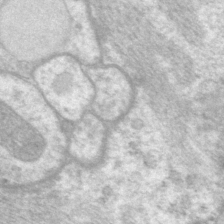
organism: P. pacificus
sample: Pharynx